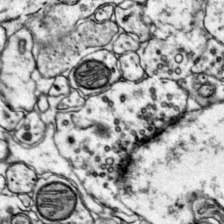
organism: Mouse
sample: Primary visual cortex